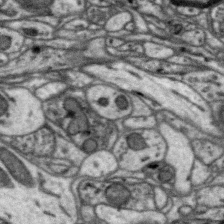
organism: Zebra finch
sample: Brain